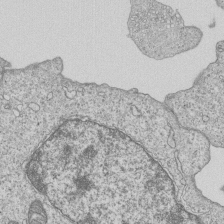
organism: Human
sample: MDA-MB-231 cells